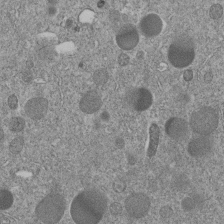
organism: C. elegans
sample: C. elegans embryo early stage